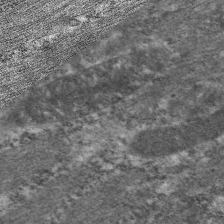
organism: C. elegans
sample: Pharynx